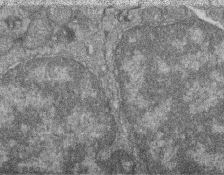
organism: Zebrafish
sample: Cilia; retinal pigment epithelium